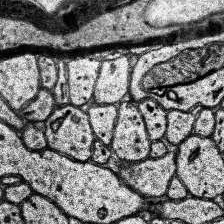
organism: Human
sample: Temporal Lobe